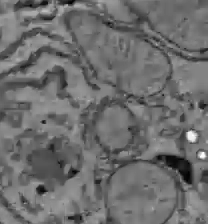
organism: C57BL Mouse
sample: Liver